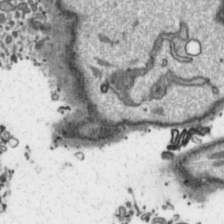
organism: Toxoplasma gondii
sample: Parasites in a vacuole inside a host cell